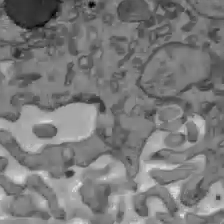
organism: C57BL Mouse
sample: Liver